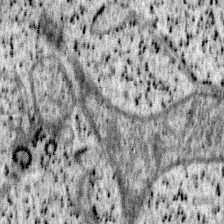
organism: Human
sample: HeLa cells